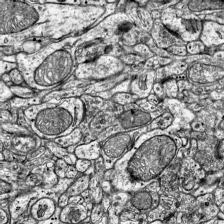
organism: Mouse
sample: Visual Cortex